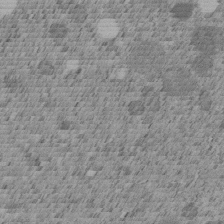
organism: C. elegans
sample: C. elegans embryo early stage